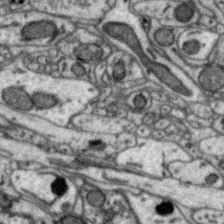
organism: Zebra finch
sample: Brain